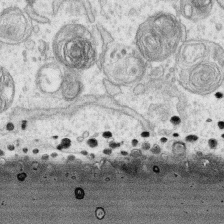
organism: Human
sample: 1205lu cells